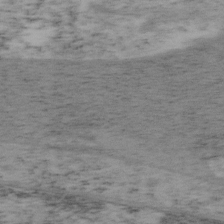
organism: Mouse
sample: OT-I killer T cells with ID8 ovarian cancer cells